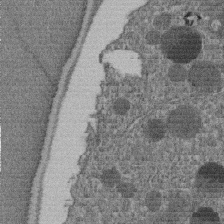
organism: C. elegans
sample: C. elegans embryo early stage